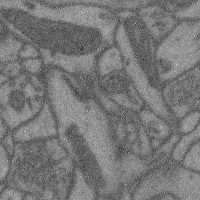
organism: Mouse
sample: Cerebral cortex